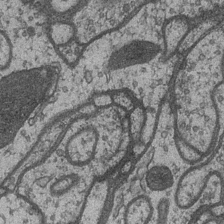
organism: Drosophila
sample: Optic medulla